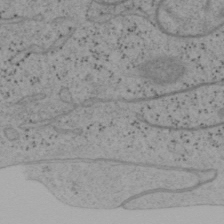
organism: Human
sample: HeLa cells